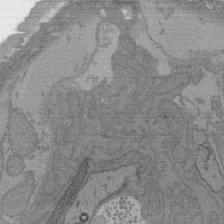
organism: C. elegans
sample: AFD neurons C. elegans